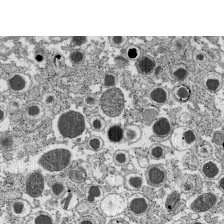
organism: C57BL Mouse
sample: Pancreatic islet